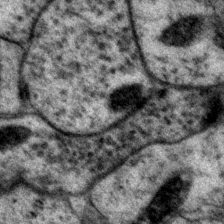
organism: P. pacificus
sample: Pharynx